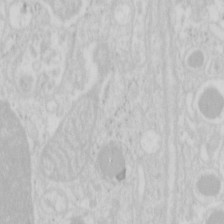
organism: Mouse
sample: Pancreas